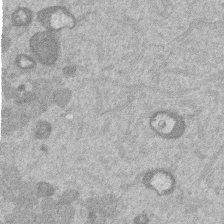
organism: Mouse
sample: Dividing mouse embryo 1 cell stage